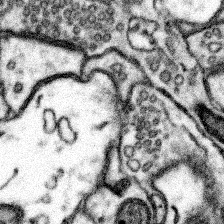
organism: Mouse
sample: Somatosensory cortex neuropil